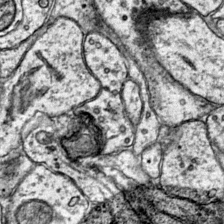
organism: Mouse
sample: Primary visual cortex